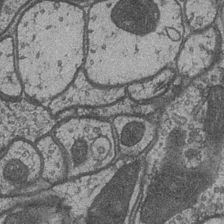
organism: Drosophila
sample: Optic medulla